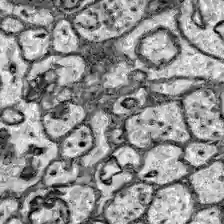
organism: Zebrafish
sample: Brain